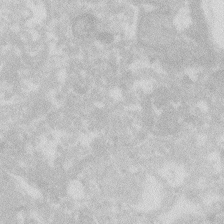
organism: Zebrafish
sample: Macrophage